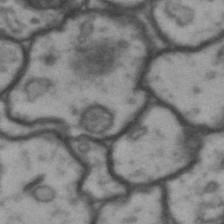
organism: Drosophila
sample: Brain